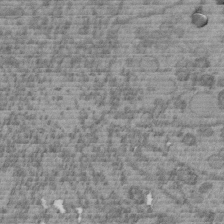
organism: C. elegans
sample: C. elegans embryo early stage